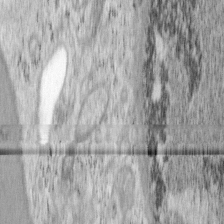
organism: Human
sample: HeLa cells